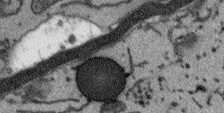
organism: Arabidopsis thaliana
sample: Root tip